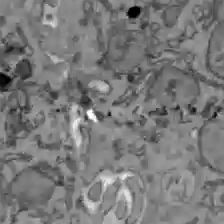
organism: C57BL Mouse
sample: Liver